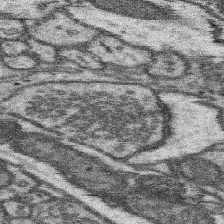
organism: Mouse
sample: Somatosensory cortex neuropil